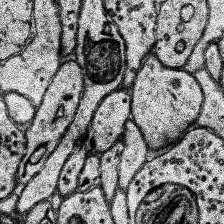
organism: Human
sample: Temporal Lobe